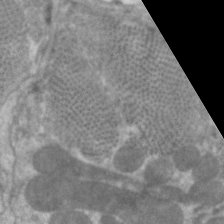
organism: C. elegans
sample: Pharynx